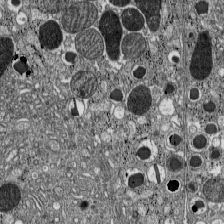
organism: C57BL Mouse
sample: Pancreatic islet